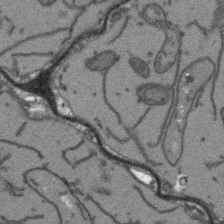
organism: Arabidopsis thaliana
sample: Root tip